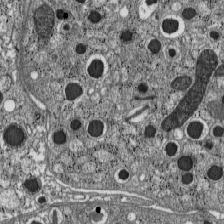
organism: C57BL Mouse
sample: Pancreatic islet